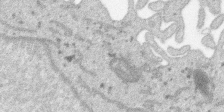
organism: Human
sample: Lung epithelial cells infected with SARS-CoV-2